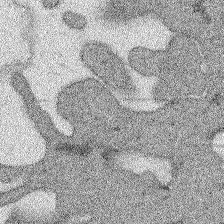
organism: Human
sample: HeLa cells